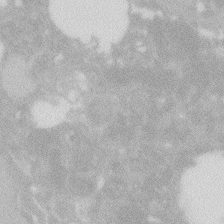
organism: Zebrafish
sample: Macrophage